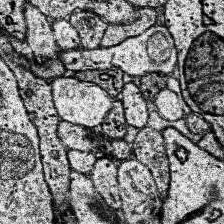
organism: Human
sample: Temporal Lobe